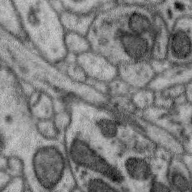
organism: Zebra finch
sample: Brain